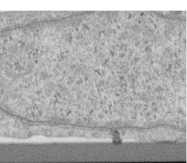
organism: Human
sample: Centriole in RPE cells